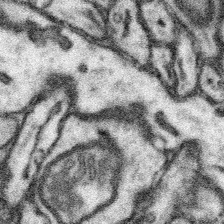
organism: Mouse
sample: Somatosensory cortex neuropil